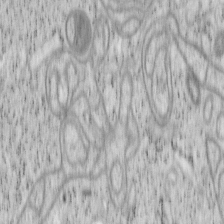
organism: Human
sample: HeLa cells